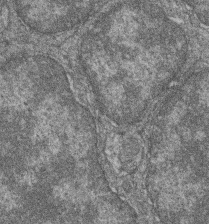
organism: Zebrafish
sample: Cilia; retinal pigment epithelium